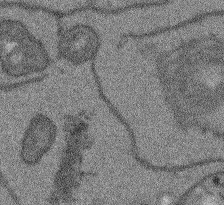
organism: Arabidopsis thaliana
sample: Root tip